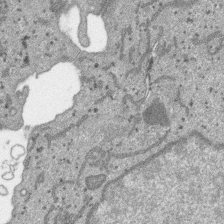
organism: Human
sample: Lung epithelial cells infected with SARS-CoV-2